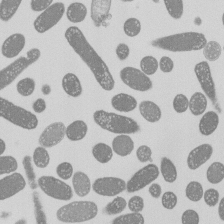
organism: E. coli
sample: Bacterial nucleoid